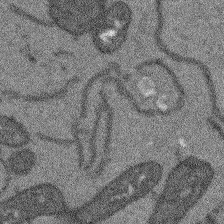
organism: Arabidopsis thaliana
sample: Root tip